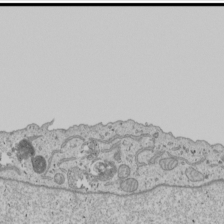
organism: Human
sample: Mitochondria in U2OS cells